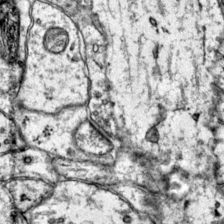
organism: Mouse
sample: Primary visual cortex